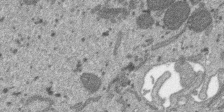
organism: Human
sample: Lung epithelial cells infected with SARS-CoV-2